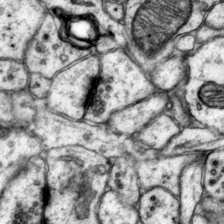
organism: Mouse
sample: Primary visual cortex